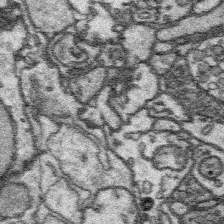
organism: Platynereis dumerilii